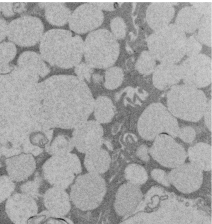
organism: Rat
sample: Salivary granule